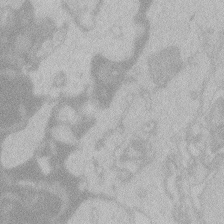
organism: Zebrafish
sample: Macrophage infected with Toxoplasma gondii